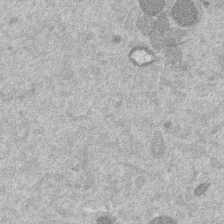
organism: Mouse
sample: Dividing mouse embryo 1 cell stage